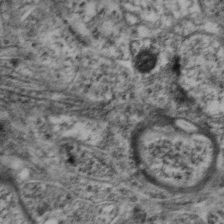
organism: Mouse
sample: Neocortex